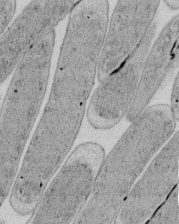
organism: E. coli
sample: Bacterial nucleoid